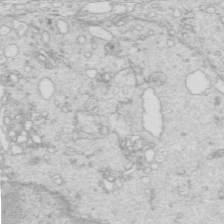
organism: Mouse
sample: Multiciliated cells